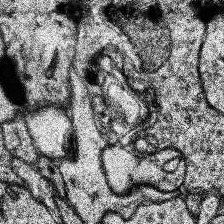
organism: Human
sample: Temporal Lobe